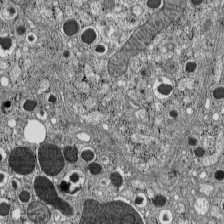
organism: C57BL Mouse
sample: Pancreatic islet